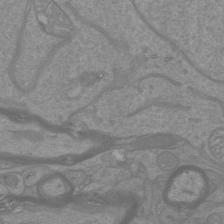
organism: Mouse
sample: Cortical neurons